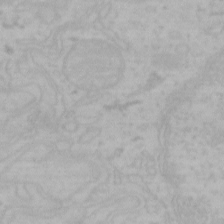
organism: Mouse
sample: Choroid plexus